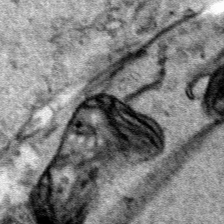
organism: Human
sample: Mitochondria in HCT116 cells